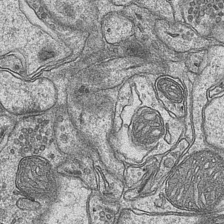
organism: Mouse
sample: CA1 Hippocampus